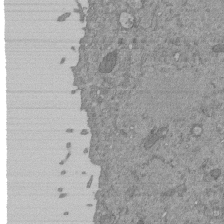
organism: Mouse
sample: ED-1 cell nuclei; centrioles